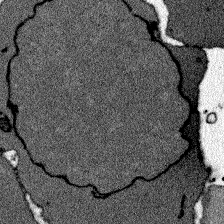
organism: Zebrafish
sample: Larval olfactory bulb